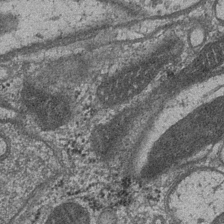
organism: Drosophila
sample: Optic medulla